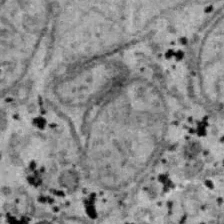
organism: Mouse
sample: Liver from an obese (ob/ob) mouse